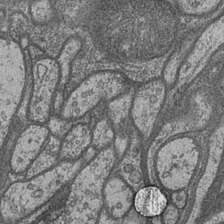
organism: Drosophila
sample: Optic medulla